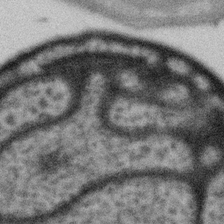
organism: Gemmata obscuriglobus